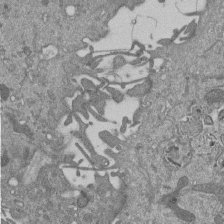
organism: Mouse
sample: ED-1 cell nuclei; centrioles